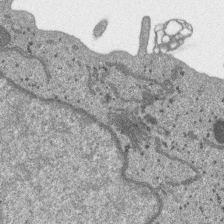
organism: Human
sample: Lung epithelial cells infected with SARS-CoV-2